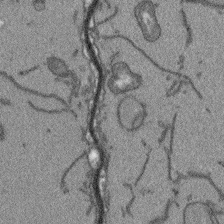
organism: Arabidopsis thaliana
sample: Root tip